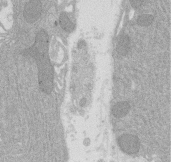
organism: Rat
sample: Salivary granule